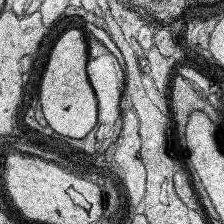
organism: Human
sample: Temporal Lobe